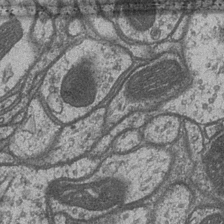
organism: Drosophila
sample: Optic medulla